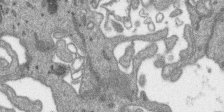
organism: Human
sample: Lung epithelial cells infected with SARS-CoV-2